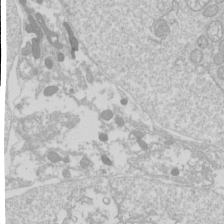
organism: Drosophila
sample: Cell division; meiosis; drosophila spermatocytes